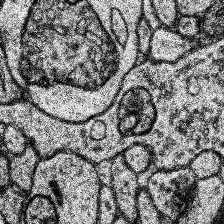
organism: Human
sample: Temporal Lobe